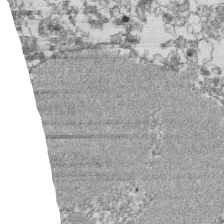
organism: Human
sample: HeLa cell HIV synapse